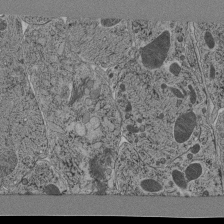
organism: C. elegans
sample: C. elegans pharynx